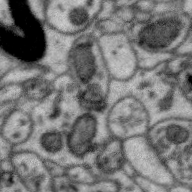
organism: Zebra finch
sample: Brain